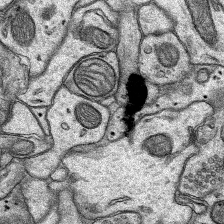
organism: Rat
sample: Hippocampus